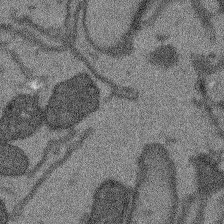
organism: Arabidopsis thaliana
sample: Root tip